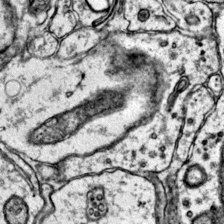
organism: Mouse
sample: Primary visual cortex